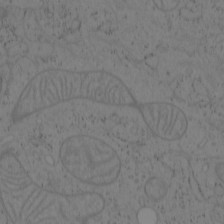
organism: Human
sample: HeLa cells